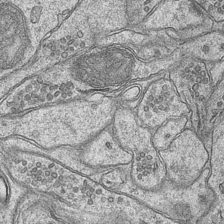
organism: Mouse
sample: CA1 Hippocampus